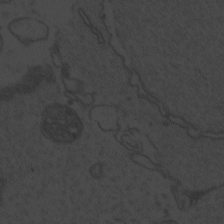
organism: Zebrafish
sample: Macrophage infected with Toxoplasma gondii